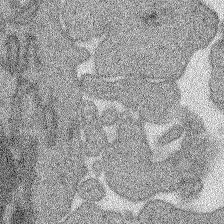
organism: Human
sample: HeLa cells